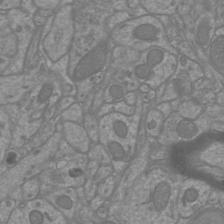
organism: Mouse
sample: Cortical neurons